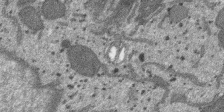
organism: Human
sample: Lung epithelial cells infected with SARS-CoV-2